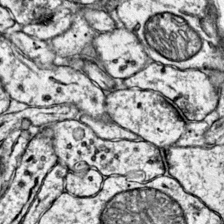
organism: Mouse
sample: Primary visual cortex